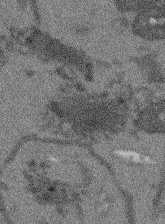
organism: Arabidopsis thaliana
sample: Root tip